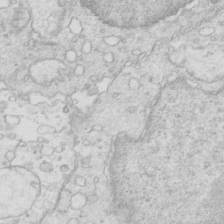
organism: Mouse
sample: Multiciliated cells